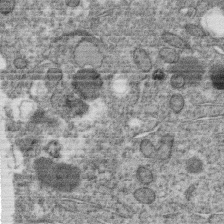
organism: C. elegans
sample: C. elegans oocyte; sperm cells